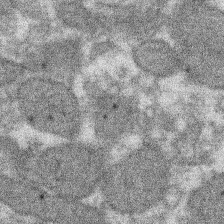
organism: Xenopus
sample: Cilia; centrioles in frog embryo cells